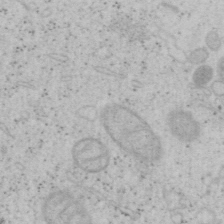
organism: Human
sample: HeLa cells